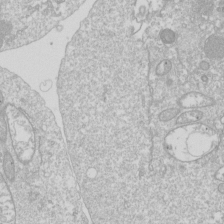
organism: Drosophila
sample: Cell division; meiosis; drosophila spermatocytes